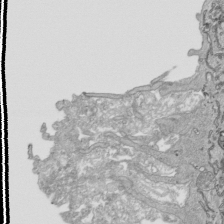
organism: Human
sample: Mitochondria in HCT116 cells